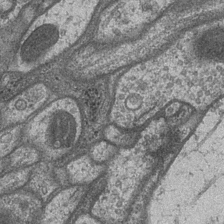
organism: Drosophila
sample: Optic medulla